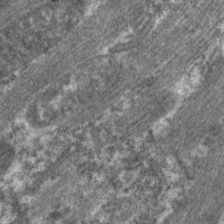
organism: C. elegans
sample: Pharynx